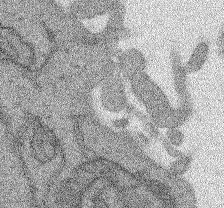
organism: Human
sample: HeLa cells